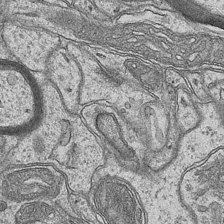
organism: Mouse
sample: CA1 Hippocampus